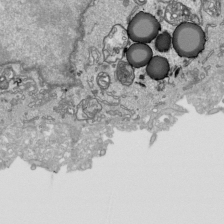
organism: Human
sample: Mitochondria in HCT116 cells